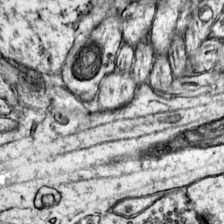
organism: Mouse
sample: Primary visual cortex